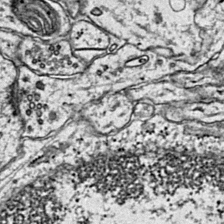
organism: Mouse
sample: Primary visual cortex